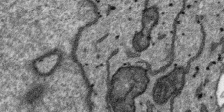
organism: Human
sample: Lung epithelial cells, uninfected (mock) control